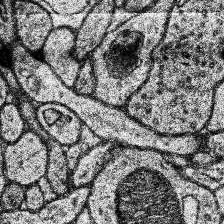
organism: Human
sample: Temporal Lobe